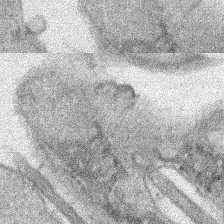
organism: Human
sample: Mitochondria in HCT116 cells